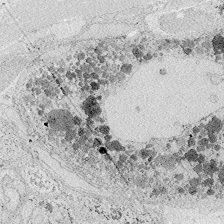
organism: Zebrafish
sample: Whole-Brain